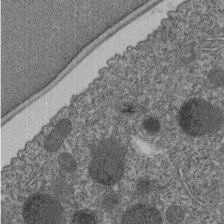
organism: C. elegans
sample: C. elegans embryo early stage